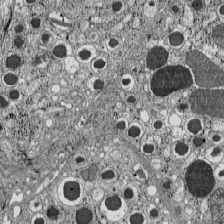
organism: C57BL Mouse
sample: Pancreatic islet